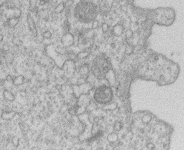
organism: Human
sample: Macrophage cells